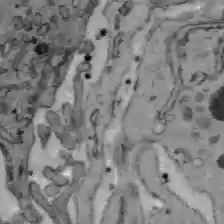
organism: C57BL Mouse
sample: Liver